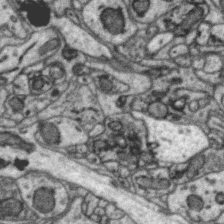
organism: Zebra finch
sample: Brain